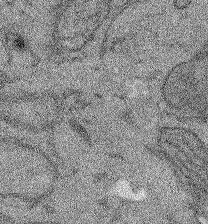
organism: Human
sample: HeLa cells